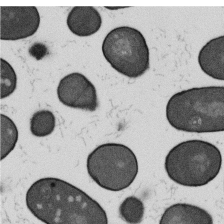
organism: B. subtilis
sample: Bacterial spore